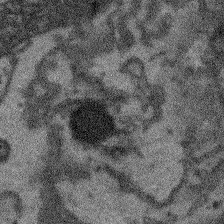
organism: Arabidopsis thaliana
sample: Root tip